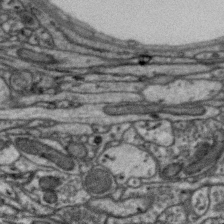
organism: Zebra finch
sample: Brain